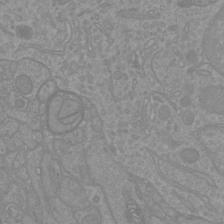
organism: Mouse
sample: Cortical neurons